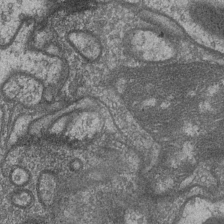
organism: Drosophila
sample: Optic medulla